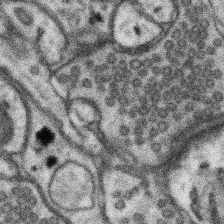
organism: Mouse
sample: Somatosensory cortex neuropil